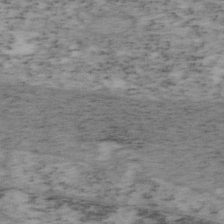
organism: Mouse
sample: OT-I killer T cells with ID8 ovarian cancer cells